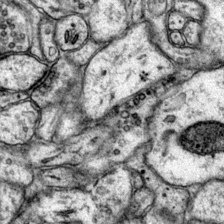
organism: Mouse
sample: Primary visual cortex